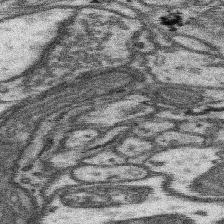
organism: Mouse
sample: Somatosensory cortex neuropil